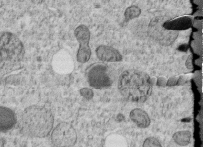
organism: C. elegans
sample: C. elegans embryo early stage